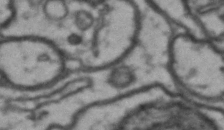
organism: Drosophila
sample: Brain